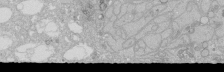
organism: Human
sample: Caco-2 cells